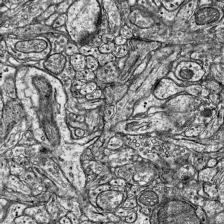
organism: Mouse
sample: Visual Cortex